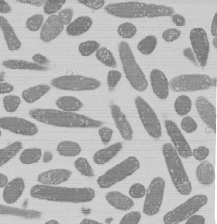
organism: E. coli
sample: Bacterial nucleoid